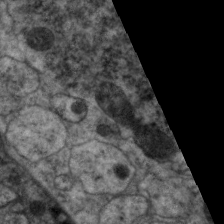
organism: C. elegans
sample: Pharynx